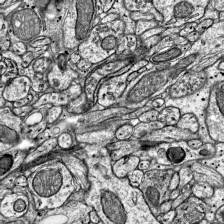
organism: Mouse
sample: Visual Cortex